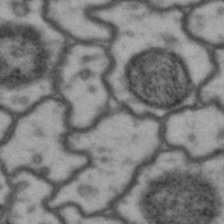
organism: Drosophila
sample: Brain